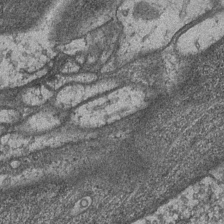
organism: Drosophila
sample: Optic medulla